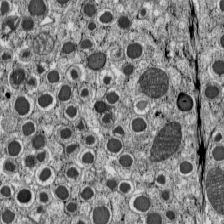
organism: C57BL Mouse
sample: Pancreatic islet